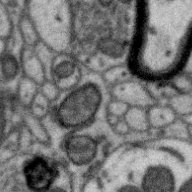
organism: Zebra finch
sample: Brain